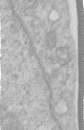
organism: Human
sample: Centriole in RPE cells